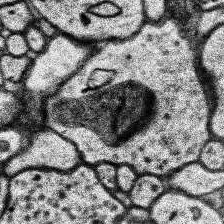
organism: Human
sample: Temporal Lobe